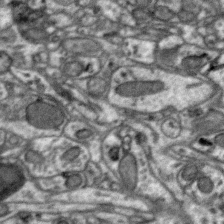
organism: Zebra finch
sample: Brain